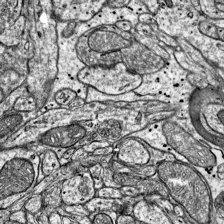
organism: Mouse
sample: Visual Cortex